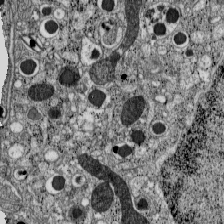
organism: C57BL Mouse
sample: Pancreatic islet